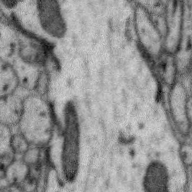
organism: Zebra finch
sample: Brain